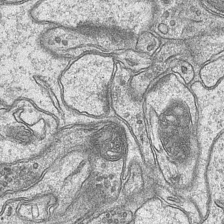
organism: Mouse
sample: CA1 Hippocampus